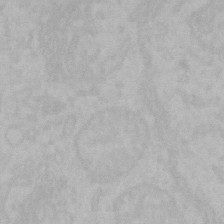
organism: Mouse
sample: Choroid plexus